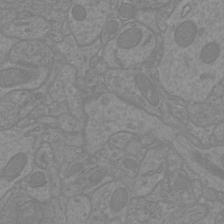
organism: Mouse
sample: Cortical neurons